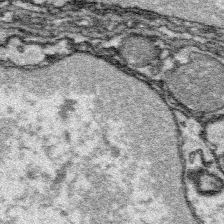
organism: Platynereis dumerilii